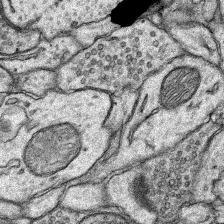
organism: Rat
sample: Hippocampus